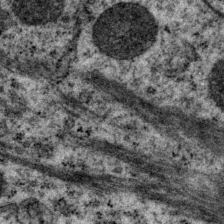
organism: P. pacificus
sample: Pharynx